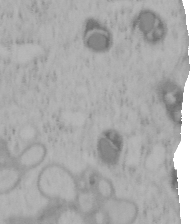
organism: Mouse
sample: OT-I killer T cells with ID8 ovarian cancer cells